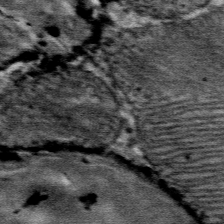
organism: Mouse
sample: Mouse Salivary gland